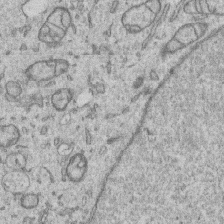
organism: Human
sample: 1205lu cells